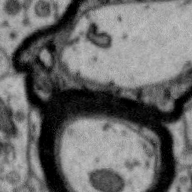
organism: Zebra finch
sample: Brain